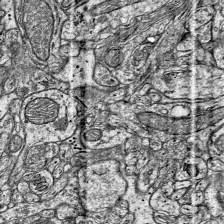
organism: Mouse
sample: Visual Cortex